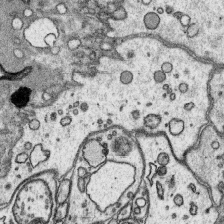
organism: Platynereis dumerilii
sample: Parapodia